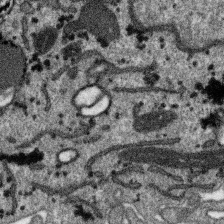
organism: Human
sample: Lung epithelial cells infected with SARS-CoV-2